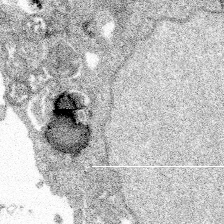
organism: Spongilla lacustris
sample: Multiple